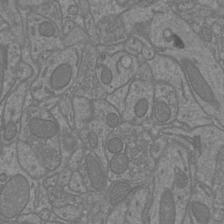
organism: Mouse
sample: Cortical neurons